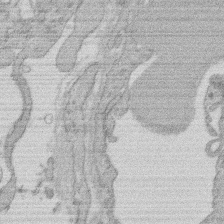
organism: Rat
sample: Salivary granule